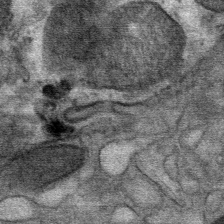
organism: Mouse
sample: Mouse Salivary gland